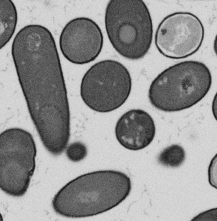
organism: B. subtilis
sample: Bacterial spore